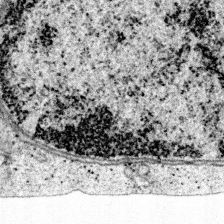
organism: Human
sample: HeLa cells